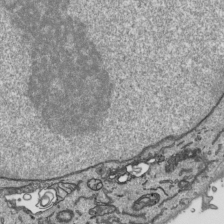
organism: Human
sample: Mitochondria in HCT116 cells